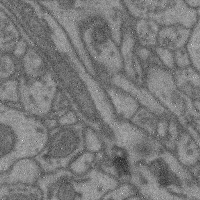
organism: Mouse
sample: Cerebral cortex